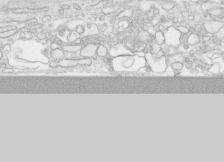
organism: Human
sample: CRL-1474